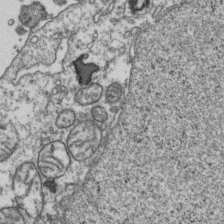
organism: Human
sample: Activated Jurkat CD4+ T cells